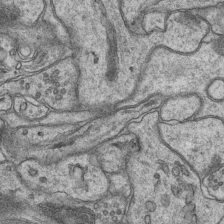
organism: Mouse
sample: CA1 Hippocampus